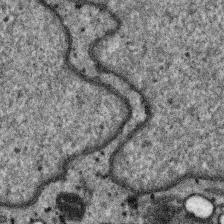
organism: Human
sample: Lung epithelial cells infected with SARS-CoV-2